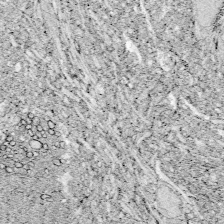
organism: Zebrafish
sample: Whole-Brain